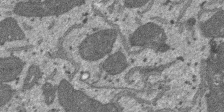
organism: Human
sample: Lung epithelial cells infected with SARS-CoV-2